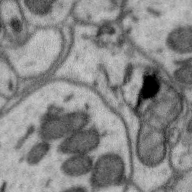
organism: Zebra finch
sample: Brain